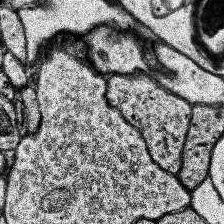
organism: Human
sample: Temporal Lobe